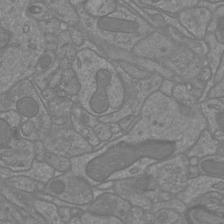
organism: Mouse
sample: Cortical neurons